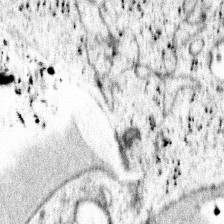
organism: Human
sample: HeLa cells